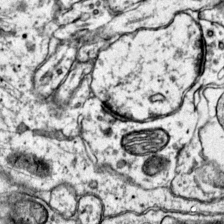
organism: Mouse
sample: Primary visual cortex